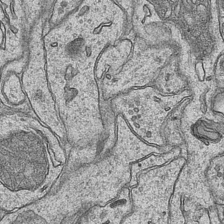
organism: Mouse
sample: CA1 Hippocampus